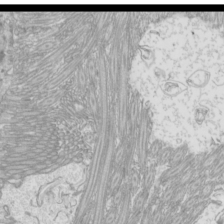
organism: Mouse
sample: Cilia; mouse epididymis